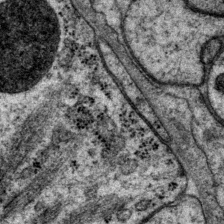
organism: P. pacificus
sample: Pharynx